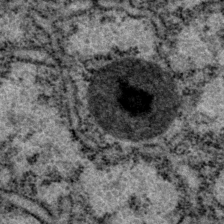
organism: P. pacificus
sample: Pharynx